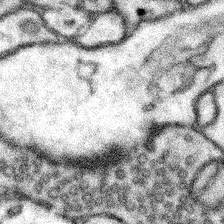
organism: Mouse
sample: Somatosensory cortex neuropil